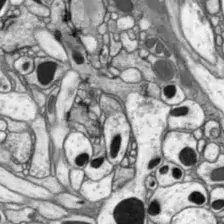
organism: Drosophila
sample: Optic lobe